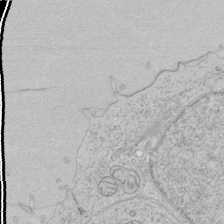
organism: Human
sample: Mitochondria in HCT116 cells